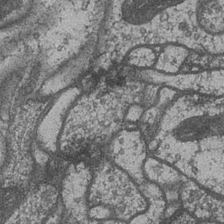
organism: Drosophila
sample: Optic medulla